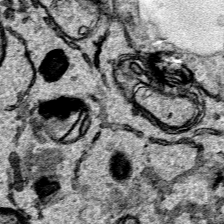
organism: Human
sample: Mitochondria in HCT116 cells